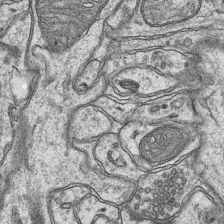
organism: Mouse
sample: CA1 Hippocampus